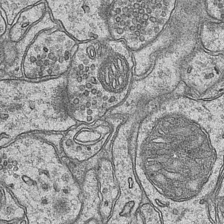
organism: Mouse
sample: CA1 Hippocampus